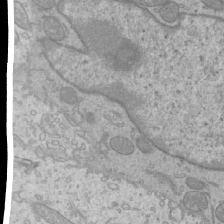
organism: Mouse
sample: Cilia; mouse epididymis